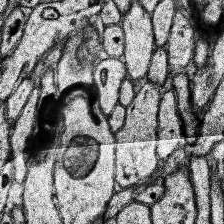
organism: Human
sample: Temporal Lobe